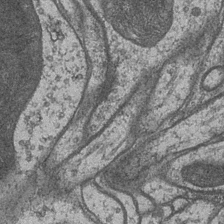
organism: Drosophila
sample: Optic medulla